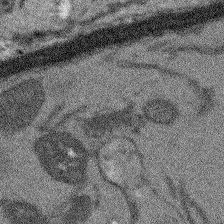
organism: Arabidopsis thaliana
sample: Root tip